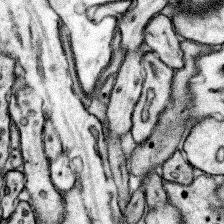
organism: Mouse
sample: Somatosensory cortex neuropil